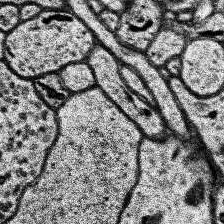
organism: Human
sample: Temporal Lobe